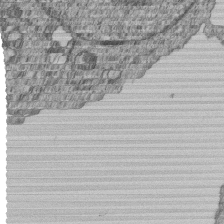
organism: Human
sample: MDA-MB-231 cells